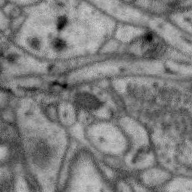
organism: Zebra finch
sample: Brain